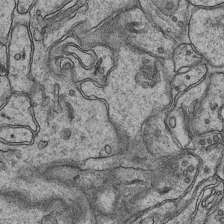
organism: Mouse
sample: CA1 Hippocampus